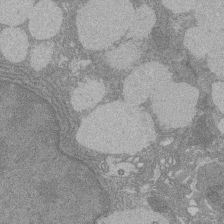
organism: Rat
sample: Salivary granule